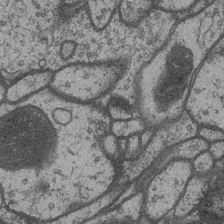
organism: Drosophila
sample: Optic medulla